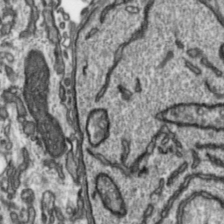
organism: Toxoplasma gondii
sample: Parasites in a vacuole inside a host cell